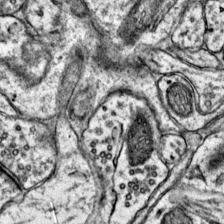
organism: Mouse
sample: Primary visual cortex